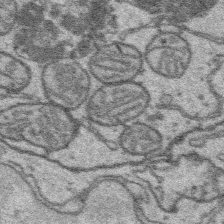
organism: Platynereis dumerilii